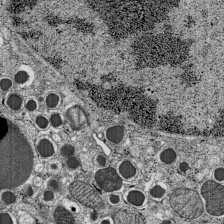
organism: C57BL Mouse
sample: Pancreatic islet